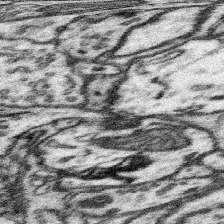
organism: Mouse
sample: Somatosensory cortex neuropil